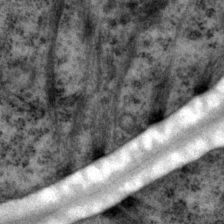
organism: P. pacificus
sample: Pharynx